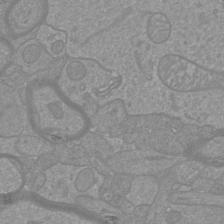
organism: Mouse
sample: Cortical neurons